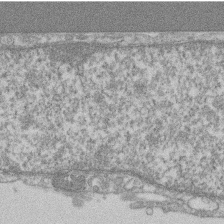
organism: Mouse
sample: T cell stromal cell synapse